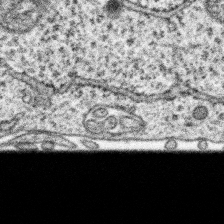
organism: Human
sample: HeLa cells